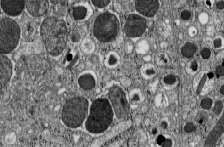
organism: C57BL Mouse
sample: Pancreatic islet